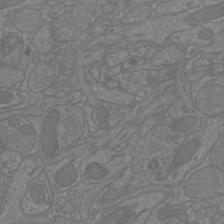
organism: Mouse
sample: Cortical neurons